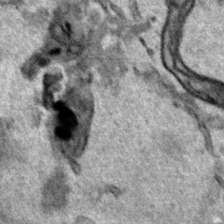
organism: Human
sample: Mitochondria in HCT116 cells